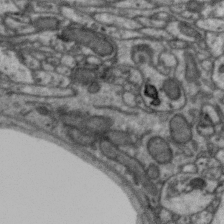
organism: Zebra finch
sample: Brain